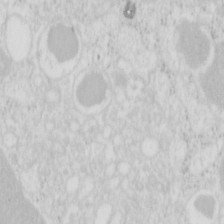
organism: Mouse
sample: Pancreas